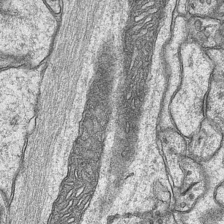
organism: Mouse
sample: CA1 Hippocampus